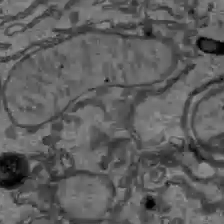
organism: C57BL Mouse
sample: Liver